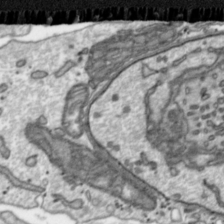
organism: Toxoplasma gondii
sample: Parasites in a vacuole inside a host cell